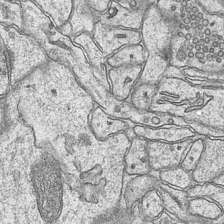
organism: Mouse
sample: CA1 Hippocampus